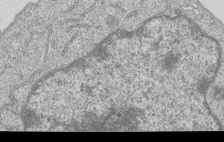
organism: Human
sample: MDA-MB-231 cells